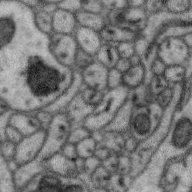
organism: Zebra finch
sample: Brain